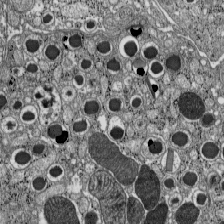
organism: C57BL Mouse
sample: Pancreatic islet